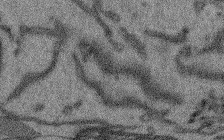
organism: Arabidopsis thaliana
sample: Root tip